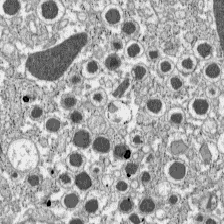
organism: C57BL Mouse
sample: Pancreatic islet